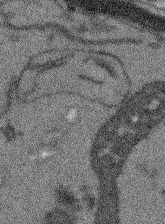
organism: Arabidopsis thaliana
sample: Root tip